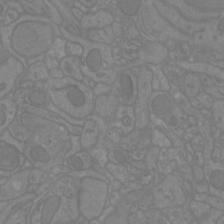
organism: Mouse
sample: Cortical neurons